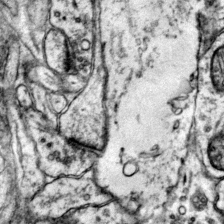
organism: Mouse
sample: Primary visual cortex